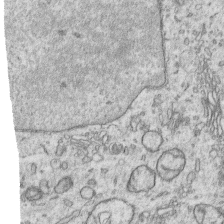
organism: Human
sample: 1205lu cells